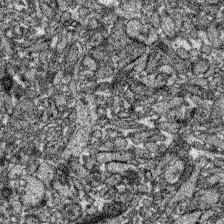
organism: Zebrafish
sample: Larval olfactory bulb